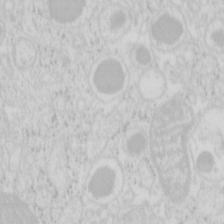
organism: Mouse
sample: Pancreas